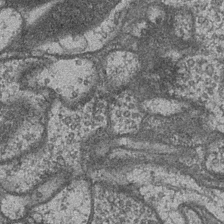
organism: Drosophila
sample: Optic medulla